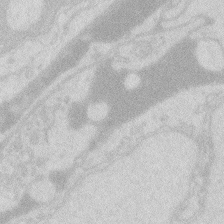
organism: Zebrafish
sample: Macrophage